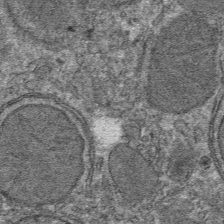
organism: Mouse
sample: Mouse hepatocytes